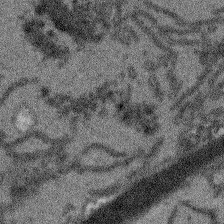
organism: Arabidopsis thaliana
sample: Root tip